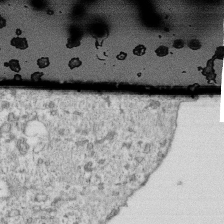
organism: Mouse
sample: Activated OT-1 CD8+ T cells